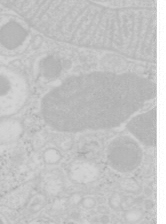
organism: Mouse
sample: Pancreas